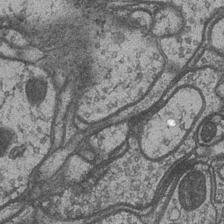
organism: Drosophila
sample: Optic medulla